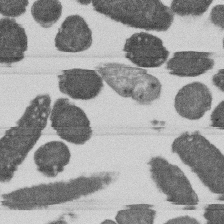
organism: E. coli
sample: Bacterial nucleoid